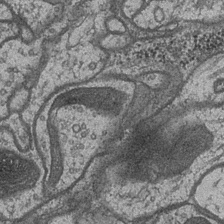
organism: Drosophila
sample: Optic medulla